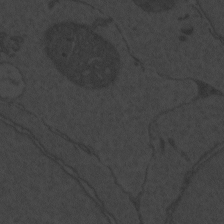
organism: Zebrafish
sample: Macrophage infected with Toxoplasma gondii